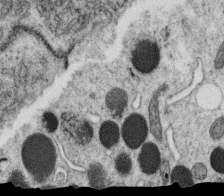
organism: C. elegans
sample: C. elegans oocyte; sperm cells